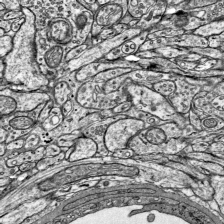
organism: Mouse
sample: Visual Cortex